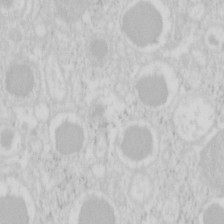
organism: Mouse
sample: Pancreas